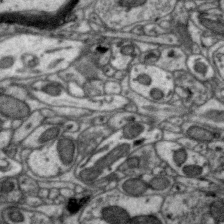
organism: Zebra finch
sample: Brain